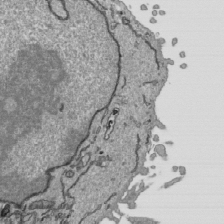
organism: Human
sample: Mitochondria in HCT116 cells